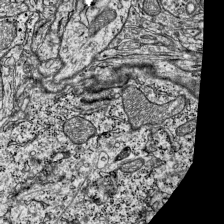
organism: Mouse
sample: Visual Cortex